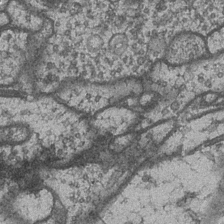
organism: Drosophila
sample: Optic medulla